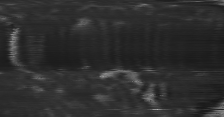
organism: C57BL Mouse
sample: Heart